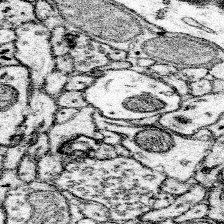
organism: Mouse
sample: Somatosensory cortex neuropil